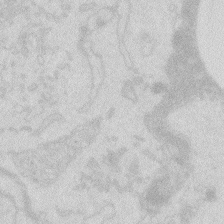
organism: Zebrafish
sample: Macrophage